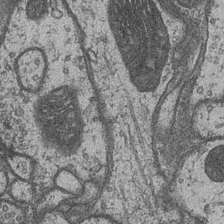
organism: Drosophila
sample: Optic medulla